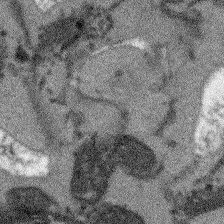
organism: Arabidopsis thaliana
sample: Root tip